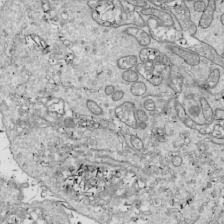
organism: Drosophila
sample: Cell division; meiosis; drosophila spermatocytes